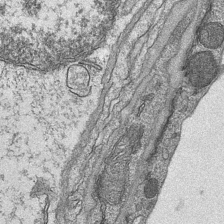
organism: Mouse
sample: CA1 Hippocampus